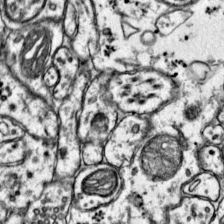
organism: Mouse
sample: Primary visual cortex